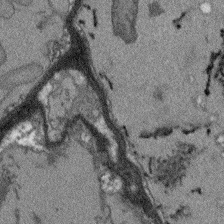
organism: Arabidopsis thaliana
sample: Root tip